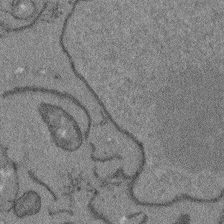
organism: Arabidopsis thaliana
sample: Root tip